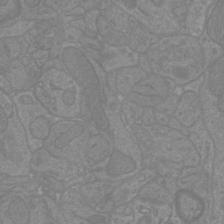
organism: Mouse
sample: Cortical neurons